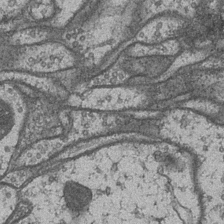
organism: Drosophila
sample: Optic medulla